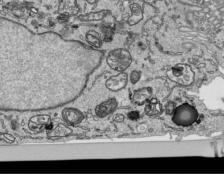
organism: Human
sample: Mitochondria in HCT116 cells